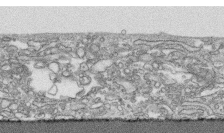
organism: Human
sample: CRL-1474